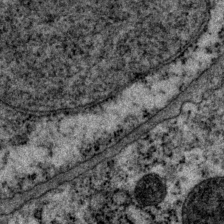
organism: P. pacificus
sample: Pharynx